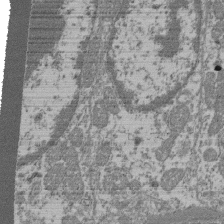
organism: Mouse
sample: Glomerulus